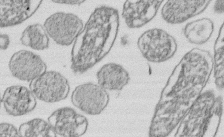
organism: E. coli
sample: Bacterial nucleoid